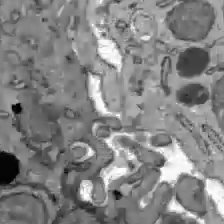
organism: C57BL Mouse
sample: Liver